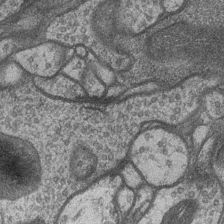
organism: Drosophila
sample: Optic medulla